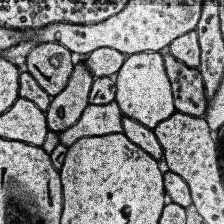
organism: Human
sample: Temporal Lobe